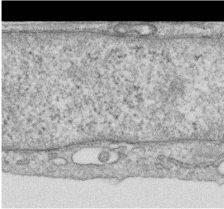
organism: Human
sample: Centriole in RPE cells